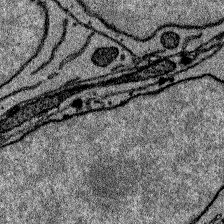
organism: Zebrafish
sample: Larval olfactory bulb